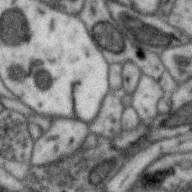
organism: Zebra finch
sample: Brain